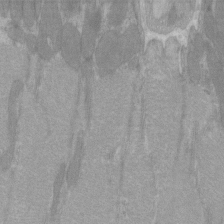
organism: C57BL Mouse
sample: Tibialis anterior muscle cell